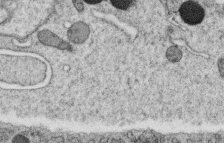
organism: C. elegans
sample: C. elegans oocyte; sperm cells